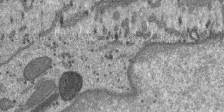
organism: Human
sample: Lung epithelial cells infected with SARS-CoV-2